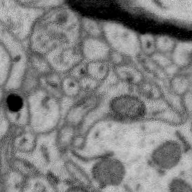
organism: Zebra finch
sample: Brain